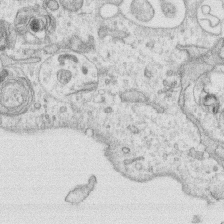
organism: Human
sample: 1205lu cells